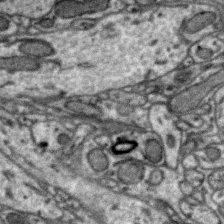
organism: Zebra finch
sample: Brain